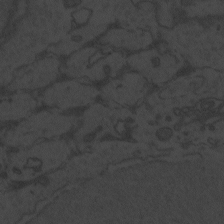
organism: Zebrafish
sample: Macrophage infected with Toxoplasma gondii